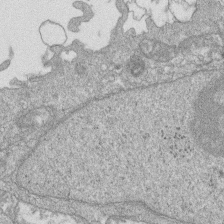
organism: Human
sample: HeLa cell HIV synapse